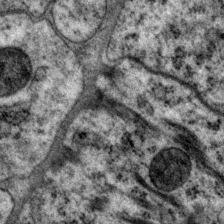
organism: P. pacificus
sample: Pharynx